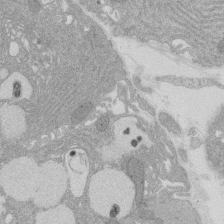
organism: Rat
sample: Salivary granule